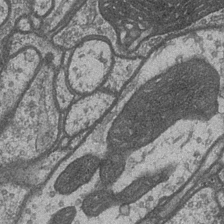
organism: Drosophila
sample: Optic medulla